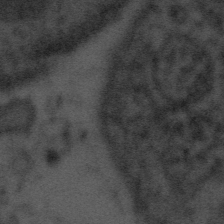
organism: Tuwongella immobilis